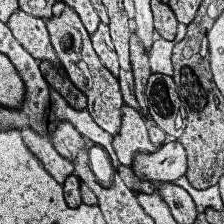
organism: Human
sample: Temporal Lobe